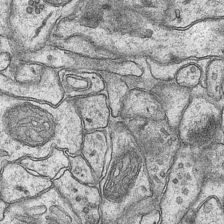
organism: Mouse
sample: CA1 Hippocampus